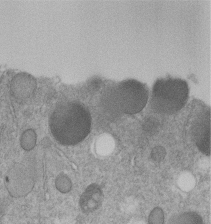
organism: C. elegans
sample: C. elegans embryo early stage